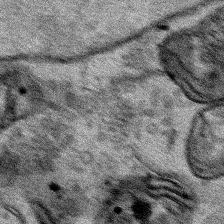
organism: Human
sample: Mitochondria in HCT116 cells